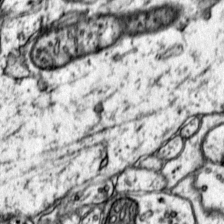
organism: Mouse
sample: Primary visual cortex